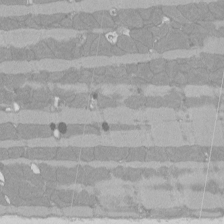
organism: Rat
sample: Left ventricle